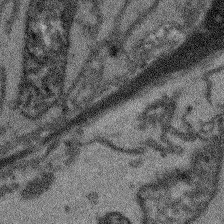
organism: Arabidopsis thaliana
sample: Root tip